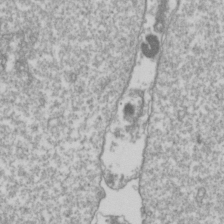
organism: Drosophila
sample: Cell division; meiosis; drosophila spermatocytes